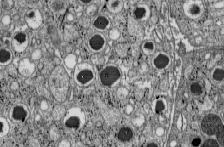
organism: C57BL Mouse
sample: Pancreatic islet